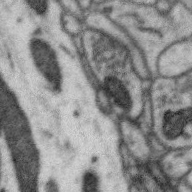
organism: Zebra finch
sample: Brain